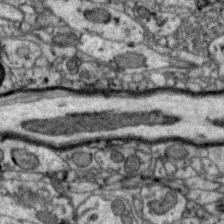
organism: Zebra finch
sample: Brain